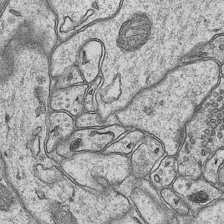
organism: Mouse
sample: CA1 Hippocampus